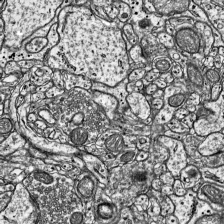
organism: Mouse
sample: Visual Cortex